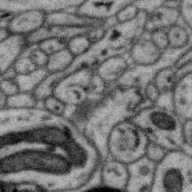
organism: Zebra finch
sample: Brain